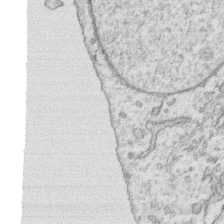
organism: Human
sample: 1205lu cells